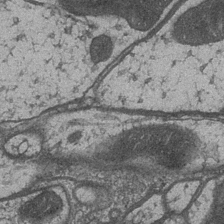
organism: Drosophila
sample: Optic medulla